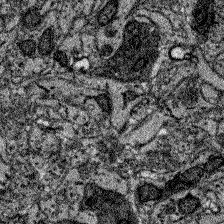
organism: Zebrafish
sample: Larval olfactory bulb